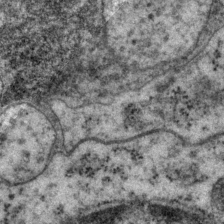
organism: P. pacificus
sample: Pharynx